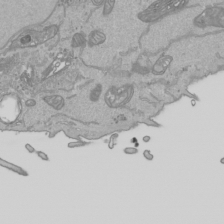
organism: Human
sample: Mitochondria in HCT116 cells